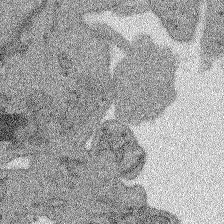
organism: Human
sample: HeLa cells